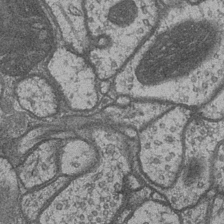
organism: Drosophila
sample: Optic medulla